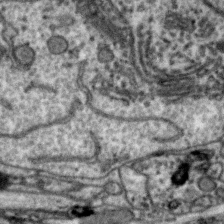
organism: Zebra finch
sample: Brain